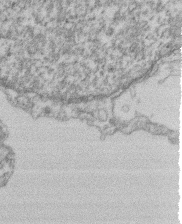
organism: Mouse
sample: T cell stromal cell synapse